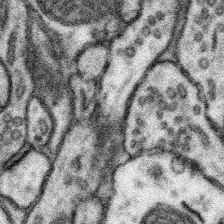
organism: Mouse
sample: Somatosensory cortex neuropil